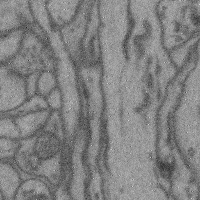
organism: Mouse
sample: Cerebral cortex